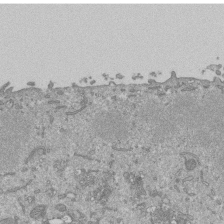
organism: Mouse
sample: ED-1 cell nuclei; centrioles